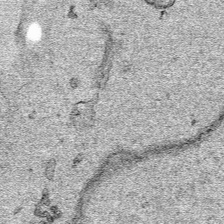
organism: Human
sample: Mitochondria in HCT116 cells